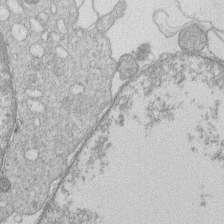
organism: Human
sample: Macrophage cells